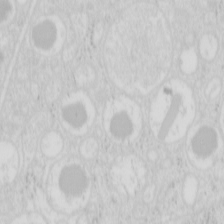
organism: Mouse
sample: Pancreas